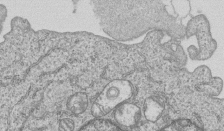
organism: Human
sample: MDA-MB-231 cells